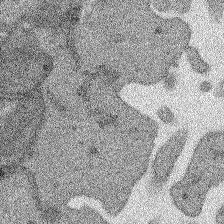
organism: Human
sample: HeLa cells